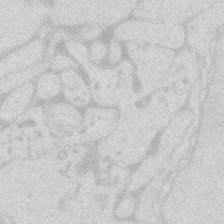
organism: Zebrafish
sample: Macrophage